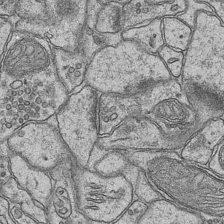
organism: Mouse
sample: CA1 Hippocampus